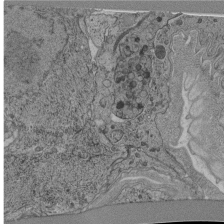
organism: C. elegans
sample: C. elegans pharynx